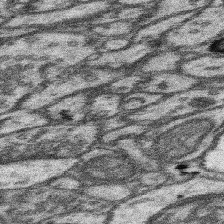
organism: Mouse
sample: Somatosensory cortex neuropil